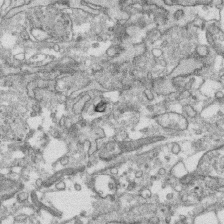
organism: Human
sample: CRL-1474